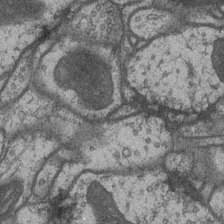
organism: Drosophila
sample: Optic medulla